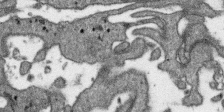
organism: Human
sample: Lung epithelial cells, uninfected (mock) control